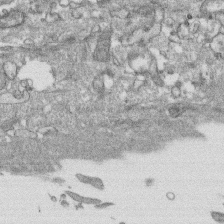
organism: Human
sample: CRL-1474